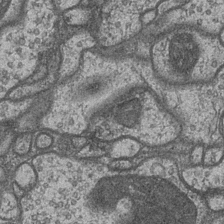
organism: Drosophila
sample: Optic medulla